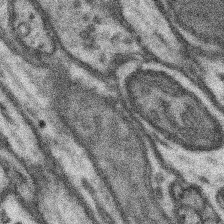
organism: Mouse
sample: Somatosensory cortex neuropil